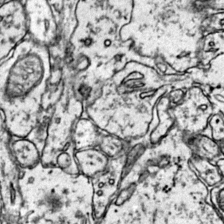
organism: Mouse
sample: Primary visual cortex